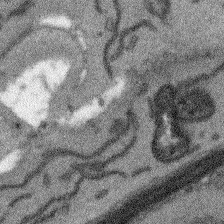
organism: Arabidopsis thaliana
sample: Root tip